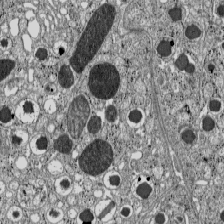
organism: C57BL Mouse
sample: Pancreatic islet